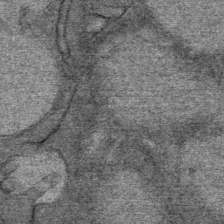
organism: Mouse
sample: Mouse Salivary gland